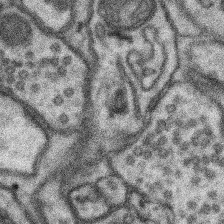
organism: Mouse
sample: Somatosensory cortex neuropil